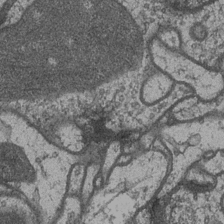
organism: Drosophila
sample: Optic medulla